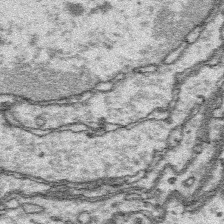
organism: Platynereis dumerilii